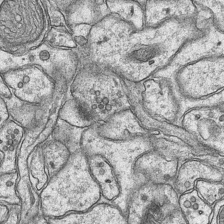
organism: Mouse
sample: CA1 Hippocampus